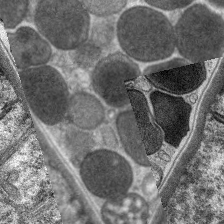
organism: C. elegans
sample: Pharynx